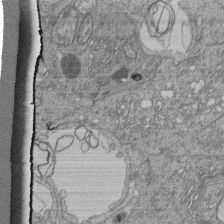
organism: Human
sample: Retinal organoid Rod and Cone cells